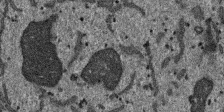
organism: Human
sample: Lung epithelial cells infected with SARS-CoV-2